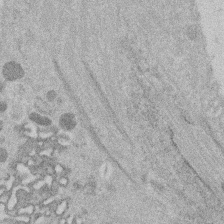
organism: Mouse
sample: Dividing mouse embryo 1 cell stage